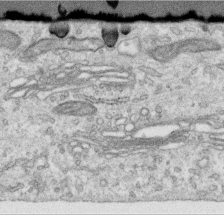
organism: Human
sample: Centriole in RPE cells